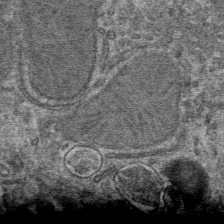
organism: Mouse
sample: Mouse hepatocytes